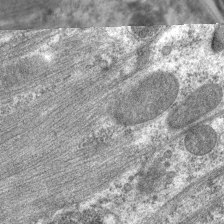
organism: C. elegans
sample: Pharynx